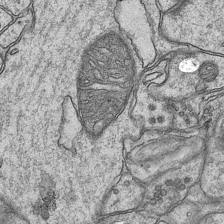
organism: Mouse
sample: CA1 Hippocampus